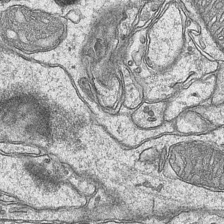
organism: Mouse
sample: CA1 Hippocampus